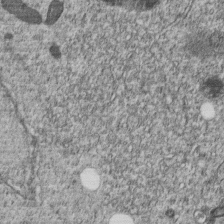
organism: C. elegans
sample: C. elegans embryo early stage